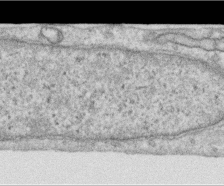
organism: Human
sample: Centriole in RPE cells